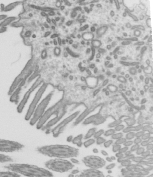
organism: Mouse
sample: Mouse epididymis efferent ductule cilia